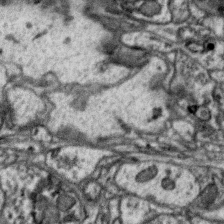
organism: Zebra finch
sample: Brain